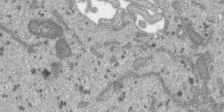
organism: Human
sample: Lung epithelial cells infected with SARS-CoV-2